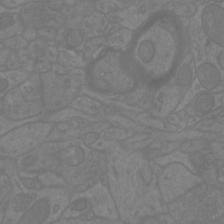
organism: Mouse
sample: Cortical neurons